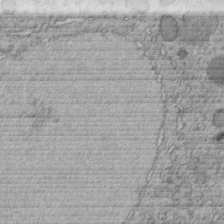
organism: C. elegans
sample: C. elegans embryo early stage